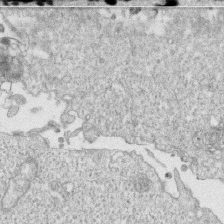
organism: Human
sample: HeLa cell HIV synapse